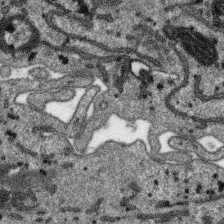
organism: Human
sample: Lung epithelial cells infected with SARS-CoV-2